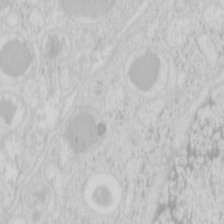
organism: Mouse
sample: Pancreas